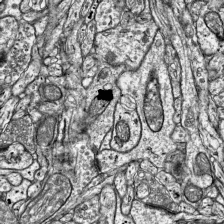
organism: Mouse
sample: Visual Cortex